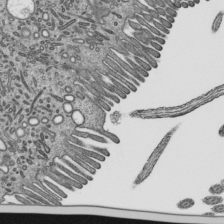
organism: Mouse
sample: Mouse epididymis efferent ductule cilia